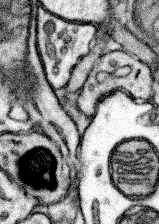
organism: Mouse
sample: Somatosensory cortex neuropil